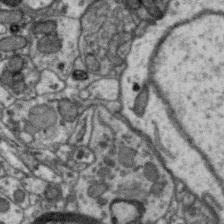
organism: Zebra finch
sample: Brain